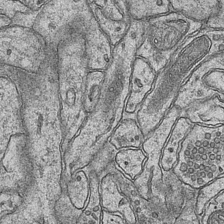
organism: Mouse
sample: CA1 Hippocampus